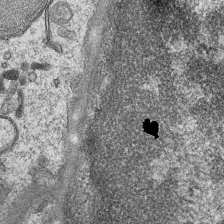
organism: Mouse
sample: CA1 Hippocampus